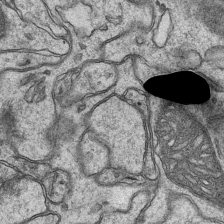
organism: Mouse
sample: CA1 Hippocampus